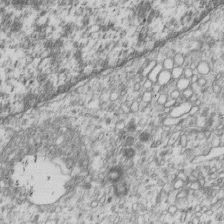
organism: Human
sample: MDA-MB-231 cells